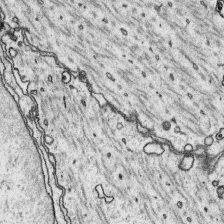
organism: Platynereis dumerilii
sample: Parapodia